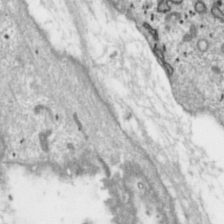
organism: Toxoplasma gondii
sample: Parasites in a vacuole inside a host cell